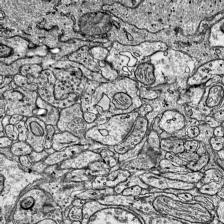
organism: Mouse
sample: Visual Cortex